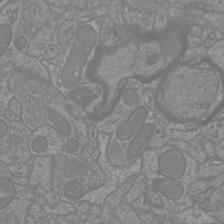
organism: Mouse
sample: Cortical neurons